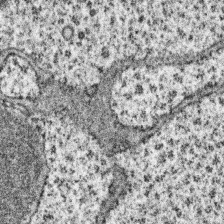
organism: Human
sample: HeLa cells